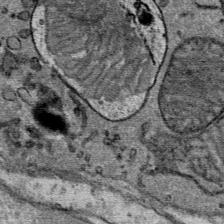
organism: Mouse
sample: Mouse Salivary gland